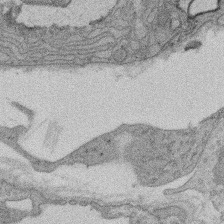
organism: Rat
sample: Salivary granule